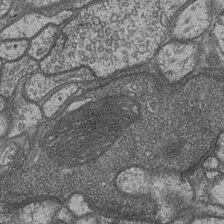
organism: Drosophila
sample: Optic medulla